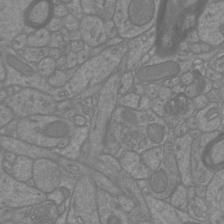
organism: Mouse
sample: Cortical neurons